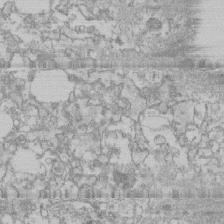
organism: Human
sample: CRL-1474